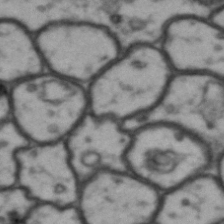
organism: Drosophila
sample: Brain